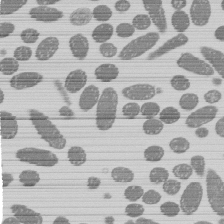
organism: E. coli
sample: Bacterial nucleoid